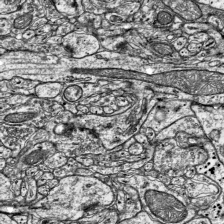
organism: Mouse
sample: Visual Cortex